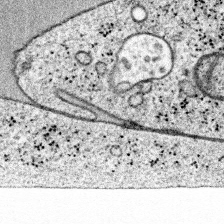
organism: Human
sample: HeLa cells